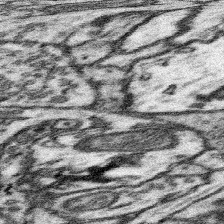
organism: Mouse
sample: Somatosensory cortex neuropil